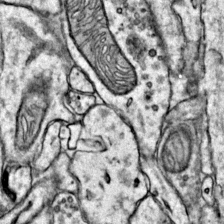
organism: Mouse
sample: Primary visual cortex